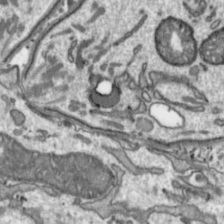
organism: Toxoplasma gondii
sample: Parasites in a vacuole inside a host cell